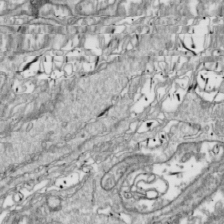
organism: Drosophila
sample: Cell division; meiosis; drosophila spermatocytes